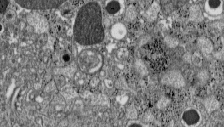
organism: C57BL Mouse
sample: Pancreatic islet